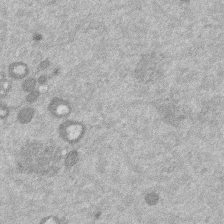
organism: Mouse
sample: Dividing mouse embryo 1 cell stage